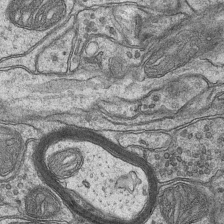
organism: Mouse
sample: CA1 Hippocampus